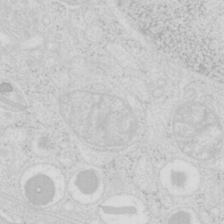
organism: Mouse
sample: Pancreas